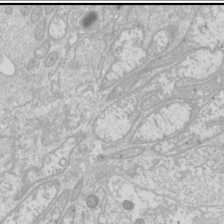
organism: Drosophila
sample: Cell division; meiosis; drosophila spermatocytes